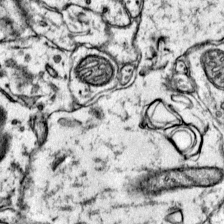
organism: Mouse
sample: Primary visual cortex